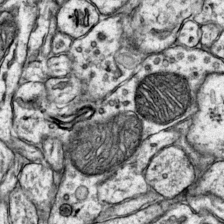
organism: Mouse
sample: Primary visual cortex